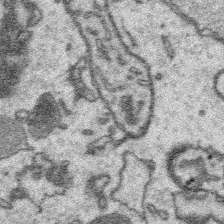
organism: Platynereis dumerilii